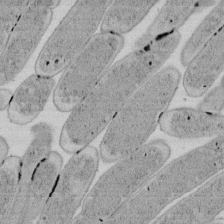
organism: E. coli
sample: Bacterial nucleoid